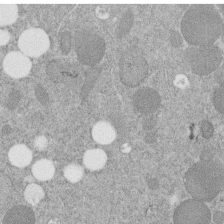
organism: C. elegans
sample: C. elegans embryo early stage